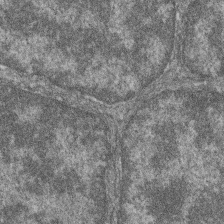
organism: Zebrafish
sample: Cilia; retinal pigment epithelium